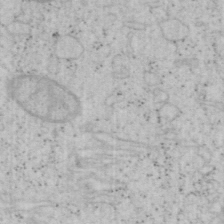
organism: Human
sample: HeLa cells